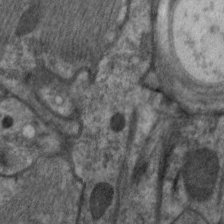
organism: C. elegans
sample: Pharynx